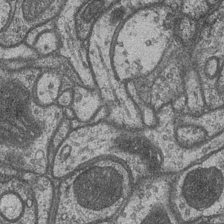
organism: Drosophila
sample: Optic medulla